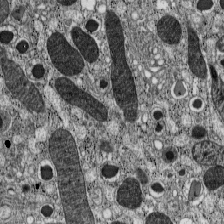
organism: C57BL Mouse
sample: Pancreatic islet